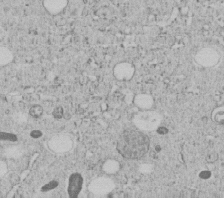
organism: C. elegans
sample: C. elegans embryo early stage